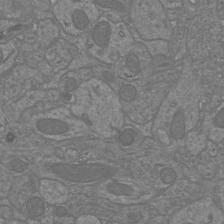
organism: Mouse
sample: Cortical neurons